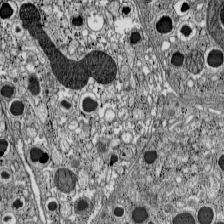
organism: C57BL Mouse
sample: Pancreatic islet